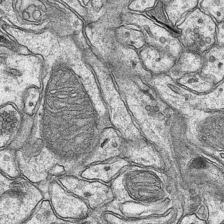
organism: Mouse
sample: CA1 Hippocampus